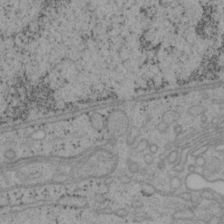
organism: Human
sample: HeLa cells